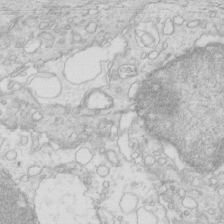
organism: Mouse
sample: Multiciliated cells